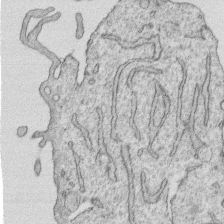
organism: Human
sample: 1205lu cells